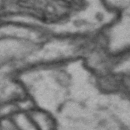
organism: Drosophila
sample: Brain